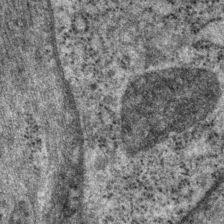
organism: P. pacificus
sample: Pharynx